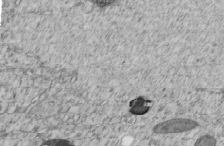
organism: C. elegans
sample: C. elegans embryo early stage